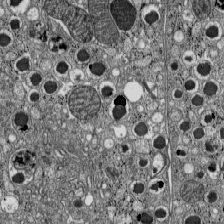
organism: C57BL Mouse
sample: Pancreatic islet